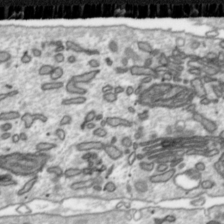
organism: Toxoplasma gondii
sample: Parasites in a vacuole inside a host cell